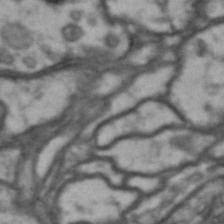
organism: Drosophila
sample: Brain